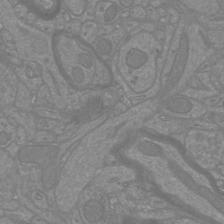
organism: Mouse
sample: Cortical neurons